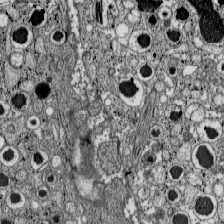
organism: C57BL Mouse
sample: Pancreatic islet